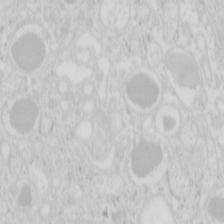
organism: Mouse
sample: Pancreas